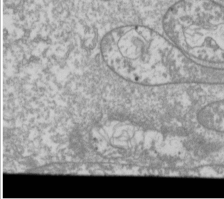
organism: Drosophila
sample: Cell division; meiosis; drosophila spermatocytes